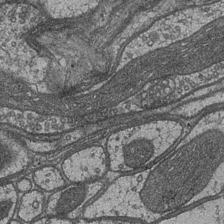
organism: Drosophila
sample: Optic medulla